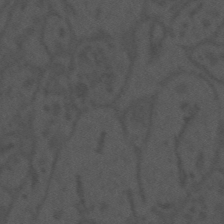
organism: Mouse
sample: Suprachiasmatic nucleus